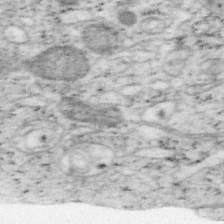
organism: Mouse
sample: OT-I killer T cells with ID8 ovarian cancer cells